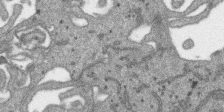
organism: Human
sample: Lung epithelial cells infected with SARS-CoV-2